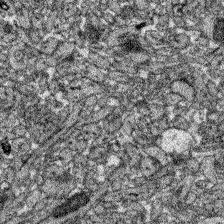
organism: Zebrafish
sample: Larval olfactory bulb